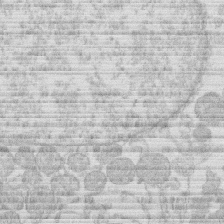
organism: Human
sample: Macrophage cells